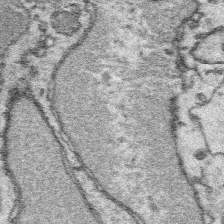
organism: Platynereis dumerilii